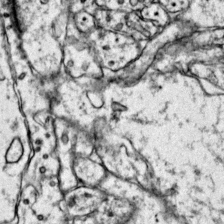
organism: Mouse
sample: Primary visual cortex